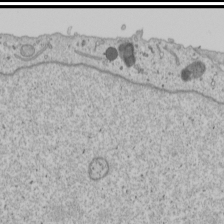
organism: Human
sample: Mitochondria in U2OS cells